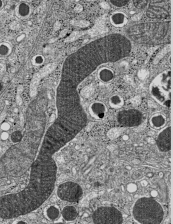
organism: C57BL Mouse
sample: Pancreatic islet